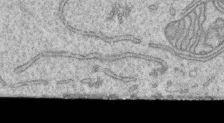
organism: Human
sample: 1205lu cells